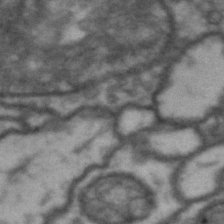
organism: Drosophila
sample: Brain